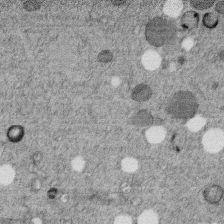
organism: C. elegans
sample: C. elegans embryo early stage